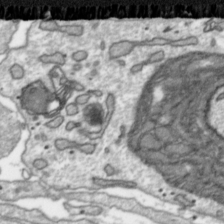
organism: Toxoplasma gondii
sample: Parasites in a vacuole inside a host cell